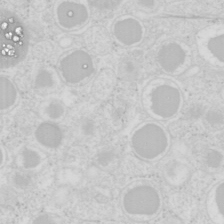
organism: Mouse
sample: Pancreas